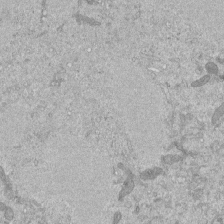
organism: Mouse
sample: ED-1 cell nuclei; centrioles